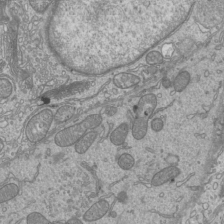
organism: Mouse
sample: Cilia; mouse epididymis